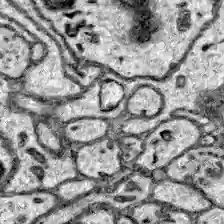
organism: Zebrafish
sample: Brain